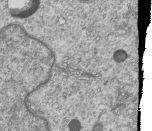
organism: Human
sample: MDA-MB-231 cells